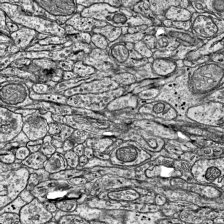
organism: Mouse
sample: Visual Cortex